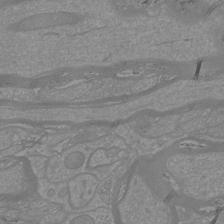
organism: Mouse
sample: Cortical neurons